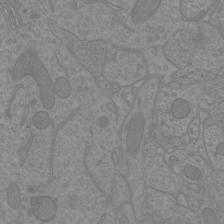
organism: Mouse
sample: Cortical neurons